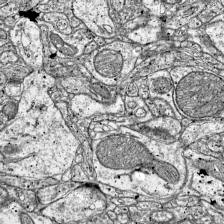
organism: Mouse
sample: Visual Cortex